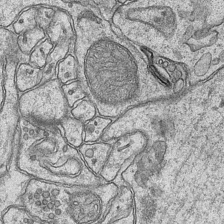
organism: Mouse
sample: CA1 Hippocampus